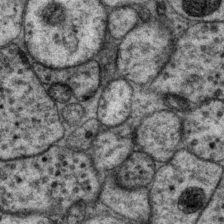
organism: P. pacificus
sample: Pharynx